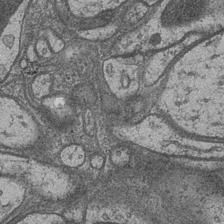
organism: Drosophila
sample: Optic medulla